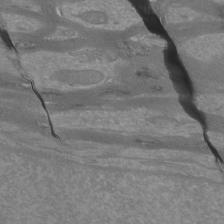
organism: Mouse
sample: Cortical neurons